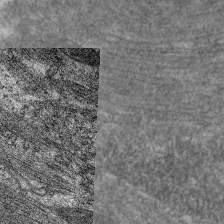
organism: C. elegans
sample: Pharynx